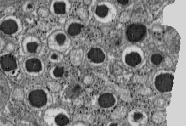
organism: C57BL Mouse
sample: Pancreatic islet